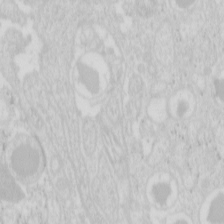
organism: Mouse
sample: Pancreas